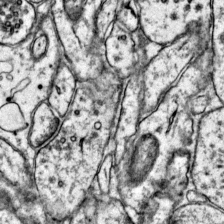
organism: Mouse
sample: Primary visual cortex